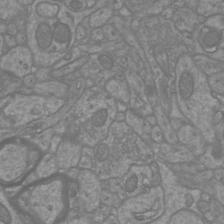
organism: Mouse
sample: Cortical neurons